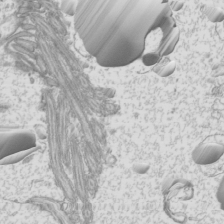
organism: Mouse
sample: Cilia; mouse epididymis